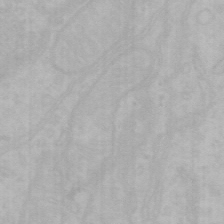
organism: Mouse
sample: Choroid plexus